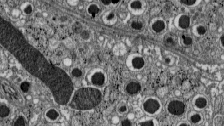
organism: C57BL Mouse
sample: Pancreatic islet